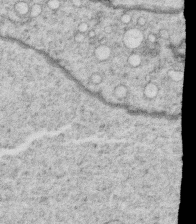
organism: C. elegans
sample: C. elegans oocyte; sperm cells